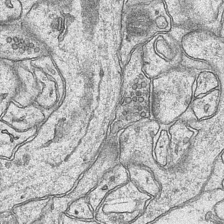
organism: Mouse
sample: CA1 Hippocampus